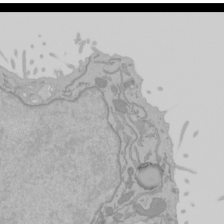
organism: Mouse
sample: Cancer cell death in ED-1 cells